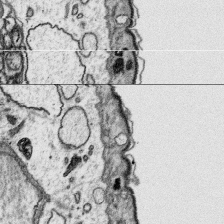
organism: Platynereis dumerilii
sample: Parapodia